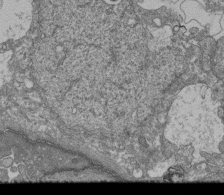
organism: Human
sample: Retinal organoid Rod and Cone cells